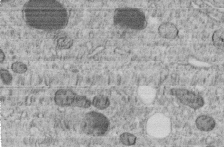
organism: C. elegans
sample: C. elegans embryo early stage